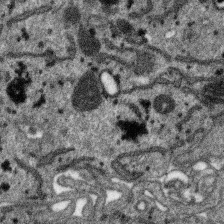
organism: Human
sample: Lung epithelial cells infected with SARS-CoV-2